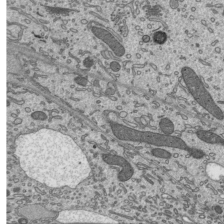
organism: Mouse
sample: Mouse epididymis efferent ductule cilia